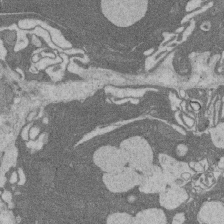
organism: Rat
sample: Salivary granule